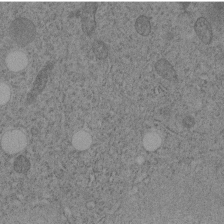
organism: C. elegans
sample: C. elegans embryo early stage